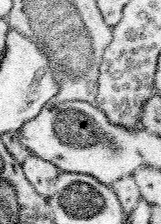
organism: Mouse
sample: Somatosensory cortex neuropil